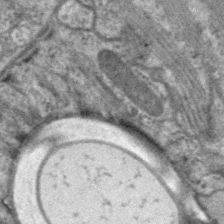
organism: C. elegans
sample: Pharynx